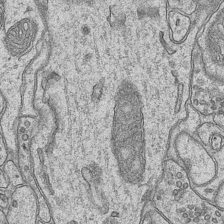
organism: Mouse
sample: CA1 Hippocampus